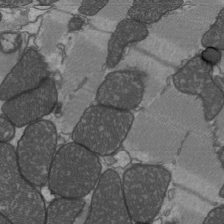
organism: C57BL Mouse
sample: Heart